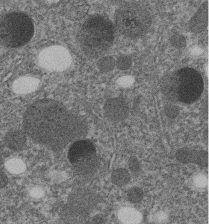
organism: C. elegans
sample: C. elegans embryo early stage